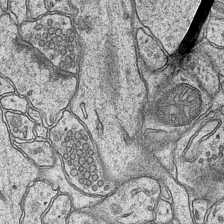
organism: Mouse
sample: CA1 Hippocampus